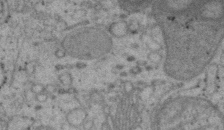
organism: Human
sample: HeLa cells